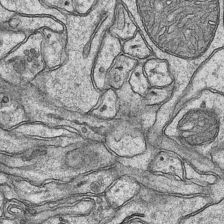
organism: Mouse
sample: CA1 Hippocampus